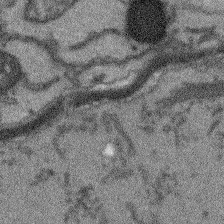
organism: Arabidopsis thaliana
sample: Root tip